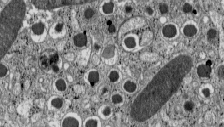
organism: C57BL Mouse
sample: Pancreatic islet